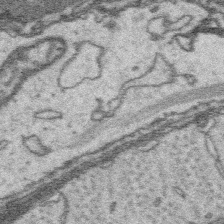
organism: Platynereis dumerilii